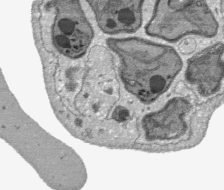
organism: Plasmodium falciparum